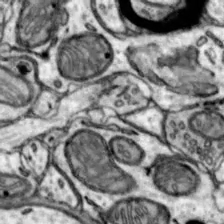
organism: Mouse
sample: Nucleus accumbens